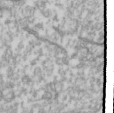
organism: Drosophila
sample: Cell division; meiosis; drosophila spermatocytes